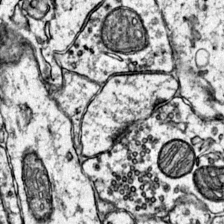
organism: Mouse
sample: Primary visual cortex